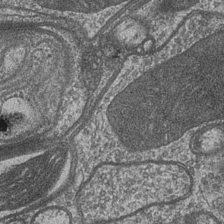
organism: Drosophila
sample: Optic medulla